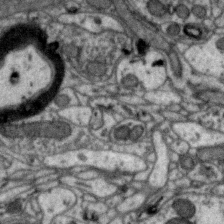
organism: Zebra finch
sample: Brain